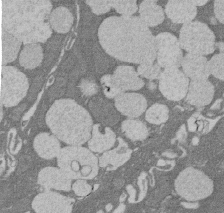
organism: Rat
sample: Salivary granule